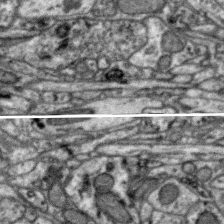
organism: Zebra finch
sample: Brain